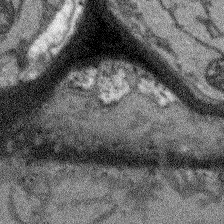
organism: Arabidopsis thaliana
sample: Root tip